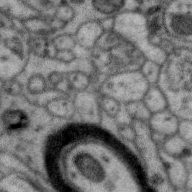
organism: Zebra finch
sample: Brain